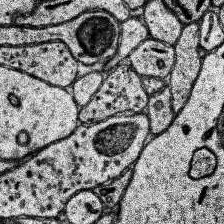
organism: Human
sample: Temporal Lobe